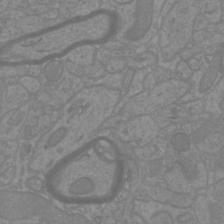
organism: Mouse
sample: Cortical neurons